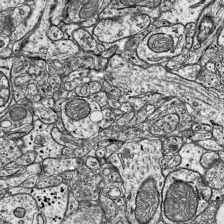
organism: Mouse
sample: Visual Cortex